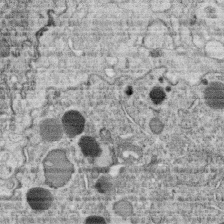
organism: C. elegans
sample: C. elegans oocyte; sperm cells